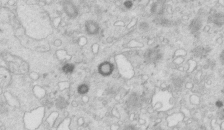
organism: Mouse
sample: Multiciliated cells